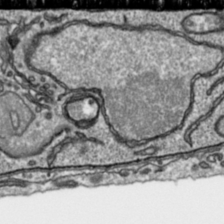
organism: Toxoplasma gondii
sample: Parasites in a vacuole inside a host cell